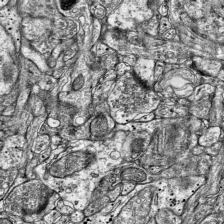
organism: Mouse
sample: Visual Cortex